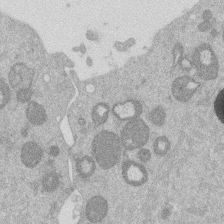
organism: Mouse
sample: Dividing mouse embryo 1 cell stage